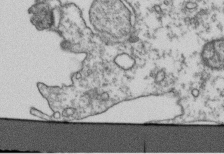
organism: Human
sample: Activated Jurkat CD4+ T cells